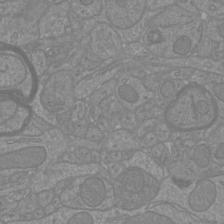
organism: Mouse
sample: Cortical neurons